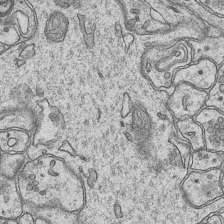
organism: Mouse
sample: CA1 Hippocampus